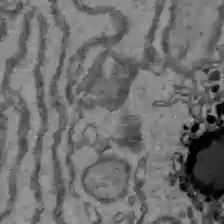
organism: C57BL Mouse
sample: Liver